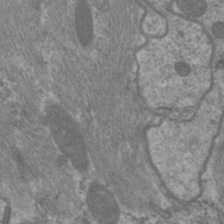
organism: C. elegans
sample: Pharynx